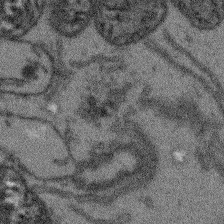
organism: Arabidopsis thaliana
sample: Root tip